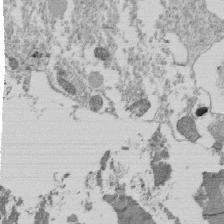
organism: Tetrahymena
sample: Cilia in tetrahymena